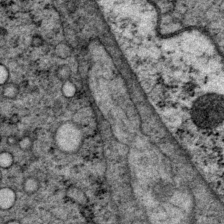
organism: P. pacificus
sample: Pharynx